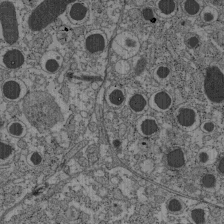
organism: C57BL Mouse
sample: Pancreatic islet